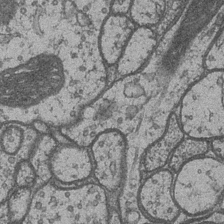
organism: Drosophila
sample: Optic medulla